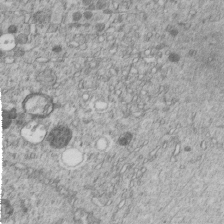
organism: C. elegans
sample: C. elegans embryo early stage